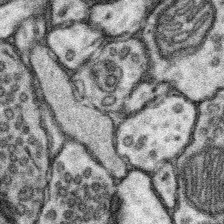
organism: Mouse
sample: Somatosensory cortex neuropil